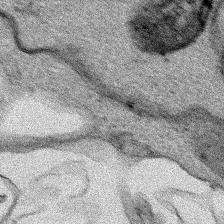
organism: Human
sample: Mitochondria in HCT116 cells